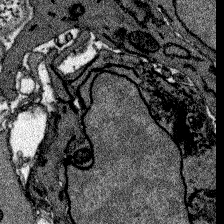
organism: Zebrafish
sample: Larval olfactory bulb